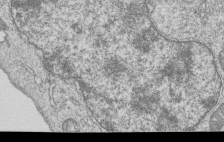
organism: Human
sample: MDA-MB-231 cells